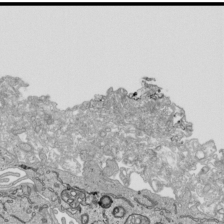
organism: Human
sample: Mitochondria in HCT116 cells